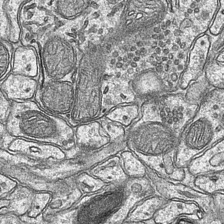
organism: Mouse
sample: CA1 Hippocampus